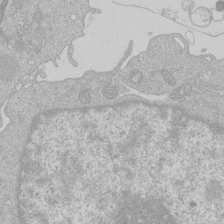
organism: Human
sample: Macrophage cells